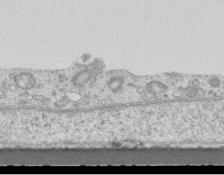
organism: Mouse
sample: Centriole in ependymal cells